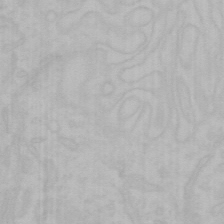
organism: Mouse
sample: Choroid plexus